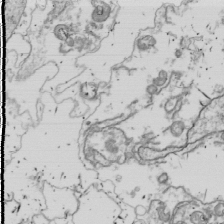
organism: Drosophila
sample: Cell division; meiosis; drosophila spermatocytes